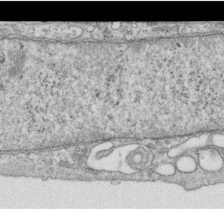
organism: Human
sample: Centriole in RPE cells